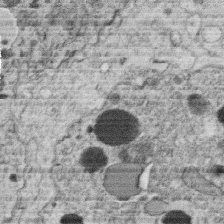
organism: C. elegans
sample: C. elegans oocyte; sperm cells